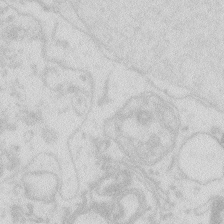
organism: Zebrafish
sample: Macrophage